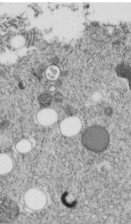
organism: C. elegans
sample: C. elegans embryo early stage